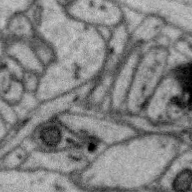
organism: Zebra finch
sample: Brain